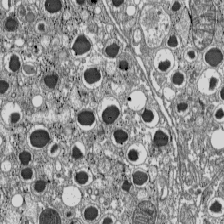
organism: C57BL Mouse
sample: Pancreatic islet